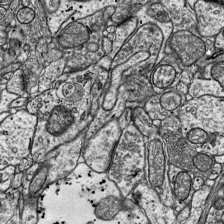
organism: Mouse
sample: Visual Cortex